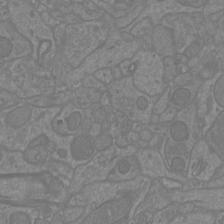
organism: Mouse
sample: Cortical neurons